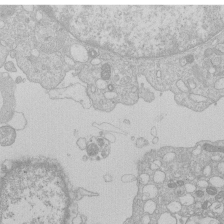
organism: Human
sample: Macrophage cells